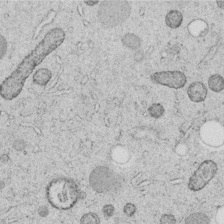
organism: C. elegans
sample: C. elegans embryo early stage